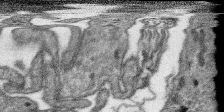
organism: Human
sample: Lung epithelial cells infected with SARS-CoV-2